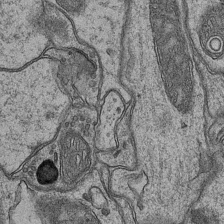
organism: Mouse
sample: CA1 Hippocampus